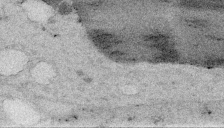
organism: Embia sp.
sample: Silk gland